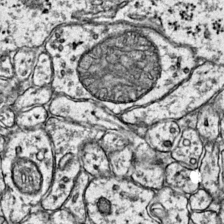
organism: Mouse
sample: Primary visual cortex